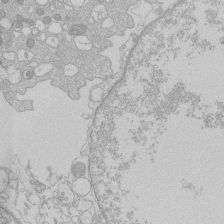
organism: Human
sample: Macrophage cells